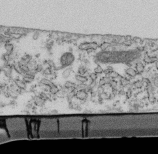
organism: Mouse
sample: Cilia; retinal pigment epithelium